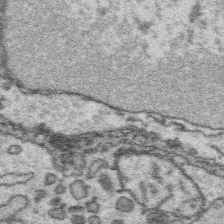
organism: Platynereis dumerilii